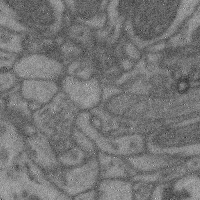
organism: Mouse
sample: Cerebral cortex